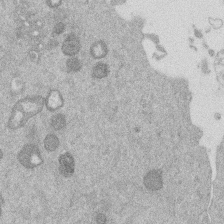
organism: Mouse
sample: Dividing mouse embryo 1 cell stage